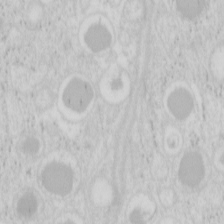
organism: Mouse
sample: Pancreas